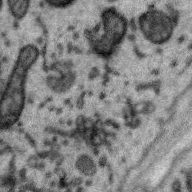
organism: Zebra finch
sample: Brain